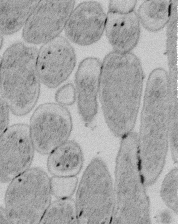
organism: E. coli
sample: Bacterial nucleoid